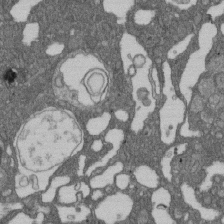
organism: Drosophila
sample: Nephrocyte